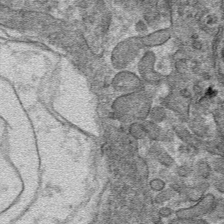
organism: Mouse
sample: Mouse hepatocytes